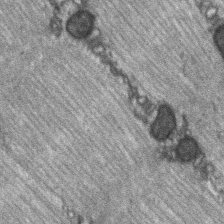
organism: C57BL Mouse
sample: Soleus